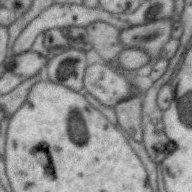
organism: Zebra finch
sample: Brain